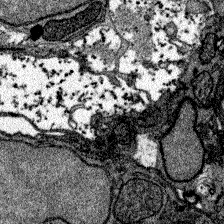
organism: Zebrafish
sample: Larval olfactory bulb